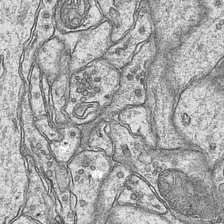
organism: Mouse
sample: CA1 Hippocampus